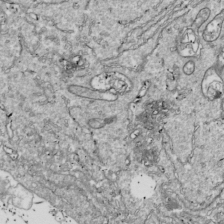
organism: Drosophila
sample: Cell division; meiosis; drosophila spermatocytes